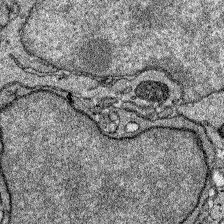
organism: Zebrafish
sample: Larval olfactory bulb